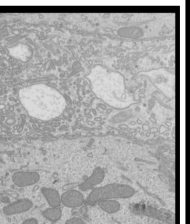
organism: Mouse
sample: Cilia; mouse epididymis